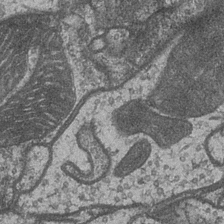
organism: Drosophila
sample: Optic medulla